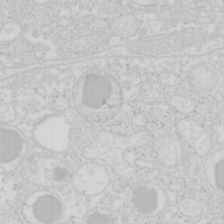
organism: Mouse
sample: Pancreas